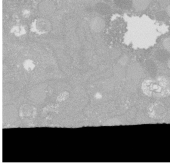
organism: C. elegans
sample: C. elegans oocyte; sperm cells